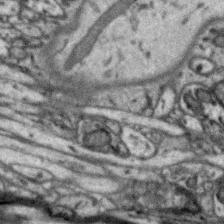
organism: Zebra finch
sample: Brain